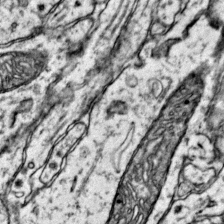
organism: Mouse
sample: Primary visual cortex